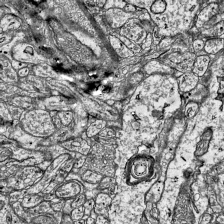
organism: Mouse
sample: Visual Cortex